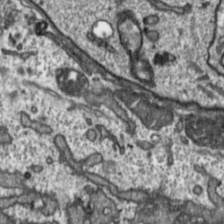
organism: Toxoplasma gondii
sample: Parasites in a vacuole inside a host cell